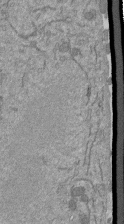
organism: Mouse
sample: ED-1 cell nuclei; centrioles